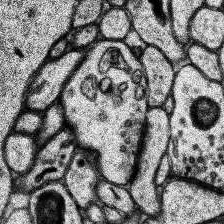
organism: Human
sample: Temporal Lobe